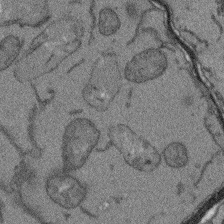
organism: Arabidopsis thaliana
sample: Root tip